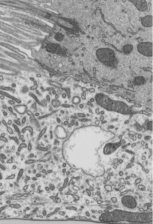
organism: Mouse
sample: Mouse epididymis efferent ductule cilia